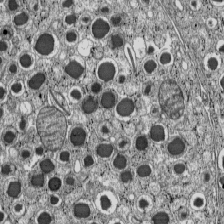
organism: C57BL Mouse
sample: Pancreatic islet